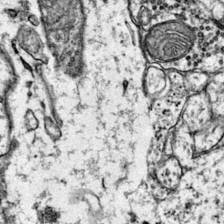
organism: Mouse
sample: Primary visual cortex